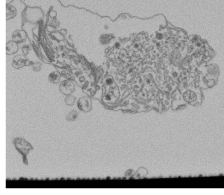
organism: Human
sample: Retinal organoid Rod and Cone cells